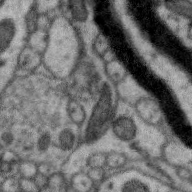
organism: Zebra finch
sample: Brain